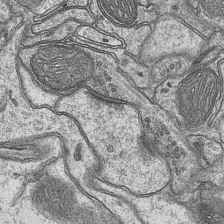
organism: Mouse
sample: CA1 Hippocampus